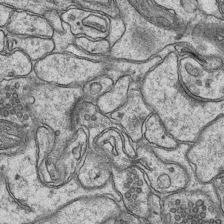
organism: Mouse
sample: CA1 Hippocampus